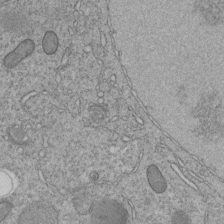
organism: C. elegans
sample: C. elegans embryo early stage